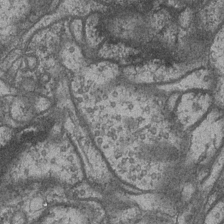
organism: Drosophila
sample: Optic medulla